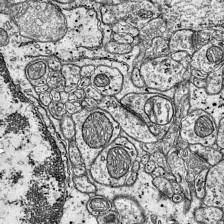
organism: Mouse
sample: Visual Cortex